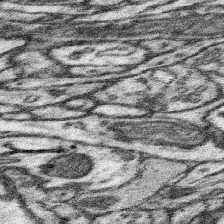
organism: Mouse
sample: Somatosensory cortex neuropil